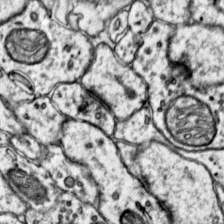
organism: Mouse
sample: Primary visual cortex